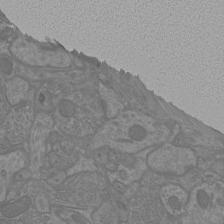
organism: Mouse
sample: Cortical neurons